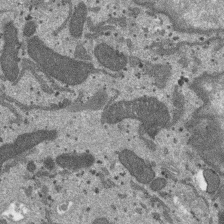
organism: Human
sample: Lung epithelial cells infected with SARS-CoV-2